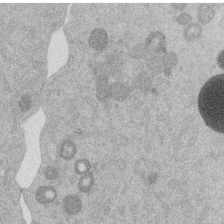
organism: Mouse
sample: Dividing mouse embryo 1 cell stage